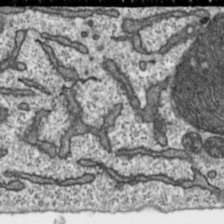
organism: Toxoplasma gondii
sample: Parasites in a vacuole inside a host cell